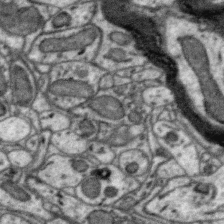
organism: Zebra finch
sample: Brain